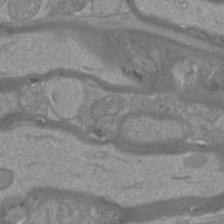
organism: Mouse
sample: Cortical neurons